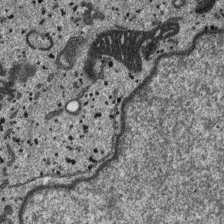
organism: Human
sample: Lung epithelial cells infected with SARS-CoV-2